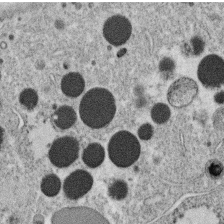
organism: C. elegans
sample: C. elegans oocyte; sperm cells